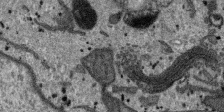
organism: Human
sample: Lung epithelial cells, uninfected (mock) control